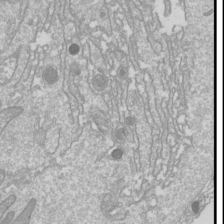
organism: Drosophila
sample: Cell division; meiosis; drosophila spermatocytes